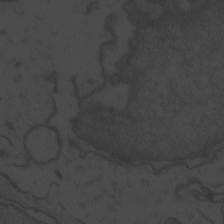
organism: Zebrafish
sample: Macrophage infected with Toxoplasma gondii